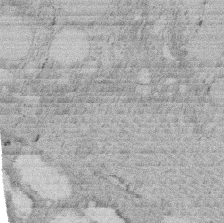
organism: Rat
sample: Salivary granule